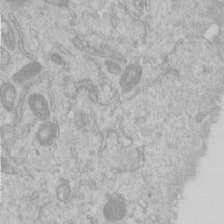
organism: Human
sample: Centriole in RPE cells